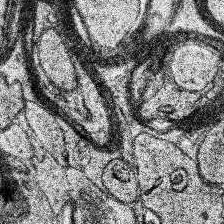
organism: Human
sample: Temporal Lobe